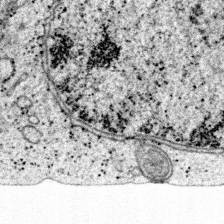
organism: Human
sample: HeLa cells